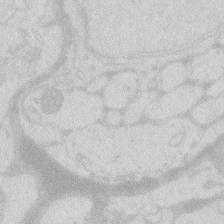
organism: Zebrafish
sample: Macrophage